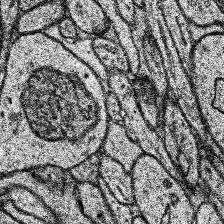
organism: Human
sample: Temporal Lobe